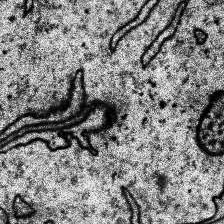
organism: Human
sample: Temporal Lobe